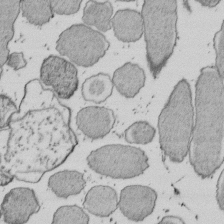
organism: E. coli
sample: Bacterial nucleoid